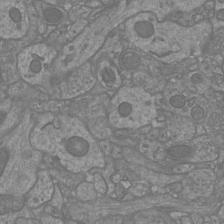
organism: Mouse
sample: Cortical neurons